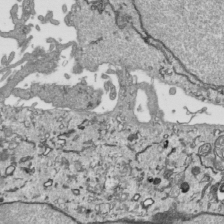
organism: Human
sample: Mitochondria in HCT116 cells